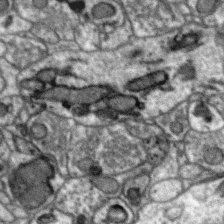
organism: Zebra finch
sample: Brain